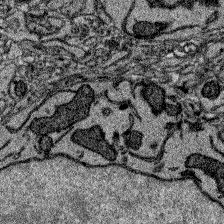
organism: Zebrafish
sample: Larval olfactory bulb